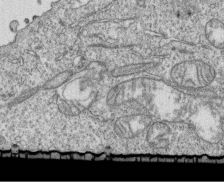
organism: Human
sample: HeLa cell HIV synapse